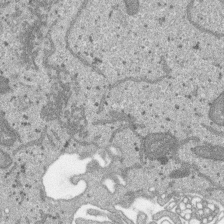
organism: Human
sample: Lung epithelial cells infected with SARS-CoV-2